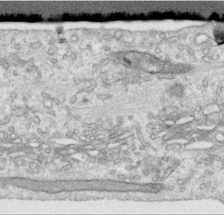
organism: Human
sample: Centriole in RPE cells